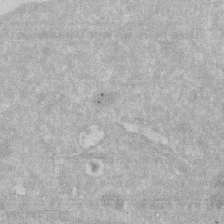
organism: Human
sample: HIV infected U937 cells